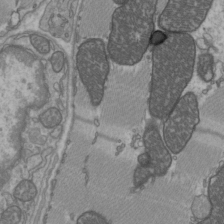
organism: C57BL Mouse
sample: Heart